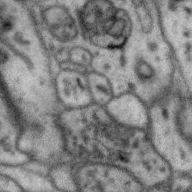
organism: Zebra finch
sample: Brain